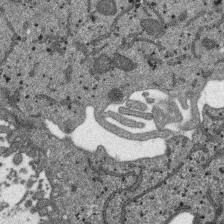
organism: Human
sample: Lung epithelial cells infected with SARS-CoV-2